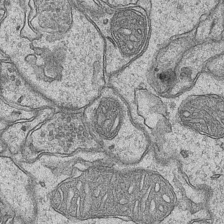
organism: Mouse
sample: CA1 Hippocampus